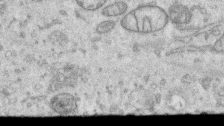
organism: Human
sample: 1205lu cells